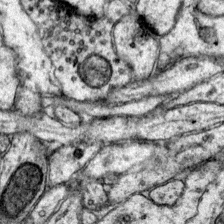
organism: Mouse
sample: Primary visual cortex